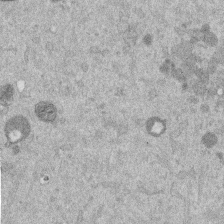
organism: Mouse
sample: Dividing mouse embryo 1 cell stage